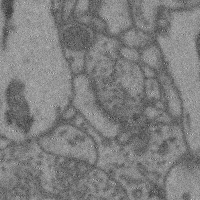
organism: Mouse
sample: Cerebral cortex